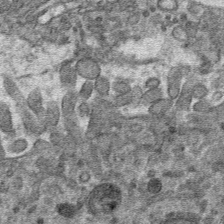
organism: Mouse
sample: Mouse hepatocytes